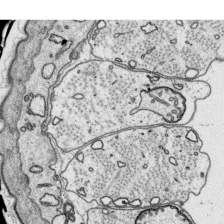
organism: Platynereis dumerilii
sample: Parapodia